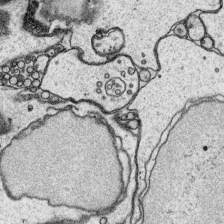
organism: Platynereis dumerilii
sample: Parapodia